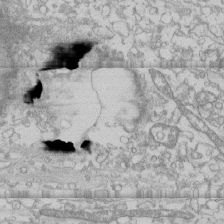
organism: Human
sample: CRL-1474